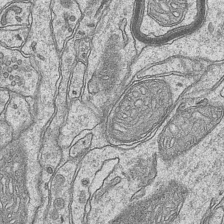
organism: Mouse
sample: CA1 Hippocampus